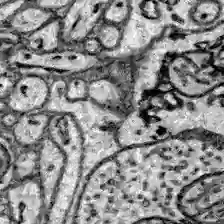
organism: Zebrafish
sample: Brain